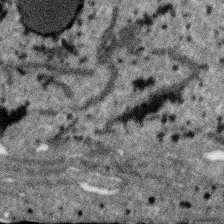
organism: Human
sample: Lung epithelial cells infected with SARS-CoV-2